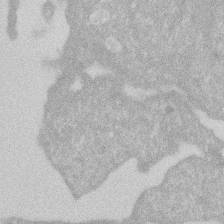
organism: Human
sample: HIV infected U937 cells